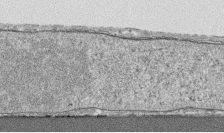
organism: Human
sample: CRL-1474